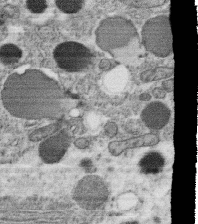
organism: C. elegans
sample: C. elegans oocyte; sperm cells